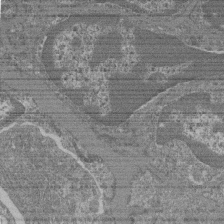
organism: Mouse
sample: Glomerulus